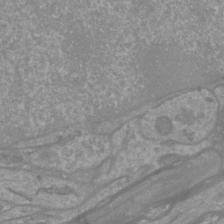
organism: Mouse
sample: Cortical neurons